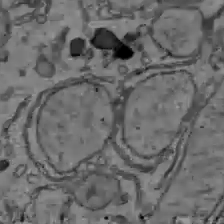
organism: C57BL Mouse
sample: Liver